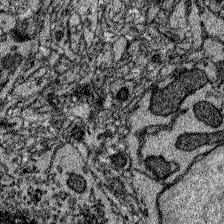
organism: Zebrafish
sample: Larval olfactory bulb